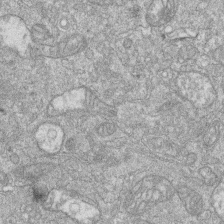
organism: Human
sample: HeLa cell HIV synapse